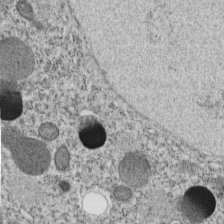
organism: C. elegans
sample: C. elegans embryo early stage